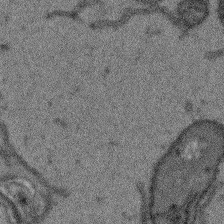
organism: Arabidopsis thaliana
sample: Root tip